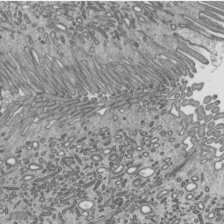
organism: Mouse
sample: Mouse epididymis efferent ductule cilia